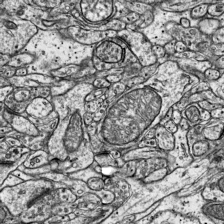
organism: Mouse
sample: Visual Cortex